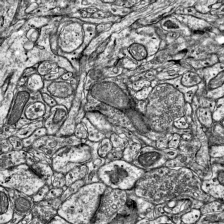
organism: Mouse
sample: Visual Cortex